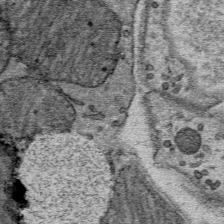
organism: Mouse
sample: Mouse Salivary gland